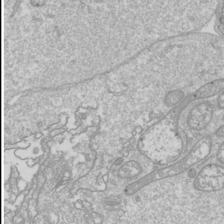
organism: Drosophila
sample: Cell division; meiosis; drosophila spermatocytes